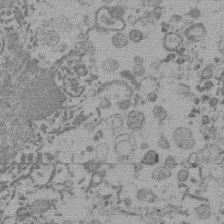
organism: Mouse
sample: Dividing mouse embryo 1 cell stage